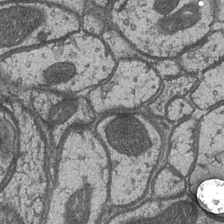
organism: Drosophila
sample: Optic medulla